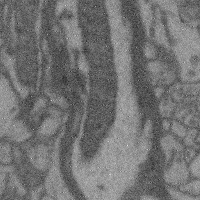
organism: Mouse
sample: Cerebral cortex